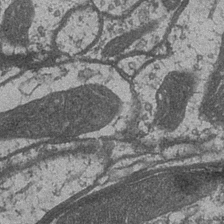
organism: Drosophila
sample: Optic medulla